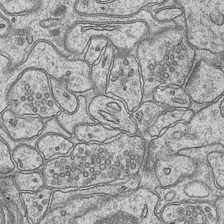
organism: Mouse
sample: CA1 Hippocampus